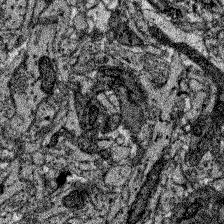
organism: Zebrafish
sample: Larval olfactory bulb